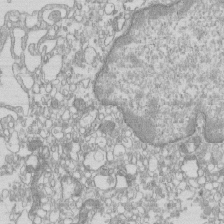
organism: Mouse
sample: Macrophages